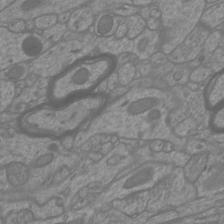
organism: Mouse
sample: Cortical neurons